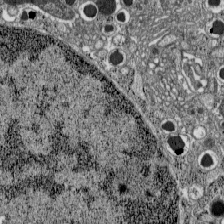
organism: C57BL Mouse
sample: Pancreatic islet